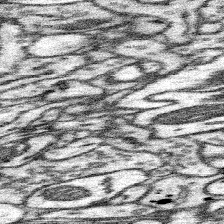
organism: Mouse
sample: Somatosensory cortex neuropil